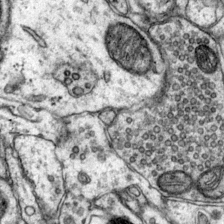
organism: Mouse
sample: Primary visual cortex